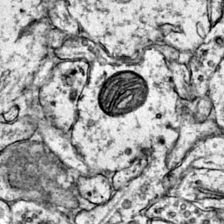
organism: Mouse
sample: Primary visual cortex